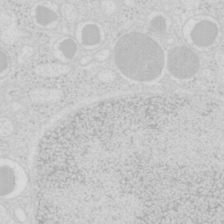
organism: Mouse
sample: Pancreas